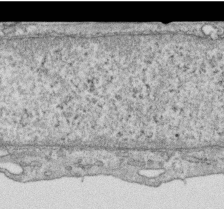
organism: Human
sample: Centriole in RPE cells